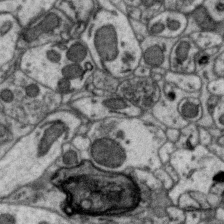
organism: Zebra finch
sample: Brain